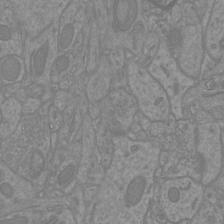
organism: Mouse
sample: Cortical neurons